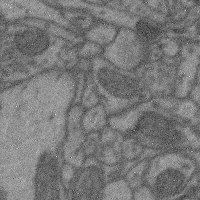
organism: Mouse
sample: Cerebral cortex